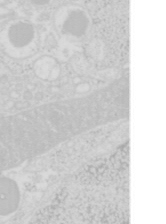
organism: Mouse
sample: Pancreas